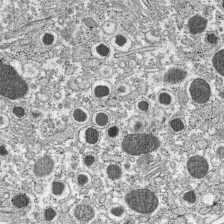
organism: C57BL Mouse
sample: Pancreatic islet